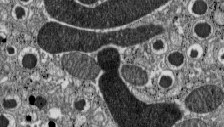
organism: C57BL Mouse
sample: Pancreatic islet